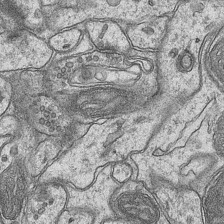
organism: Mouse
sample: CA1 Hippocampus